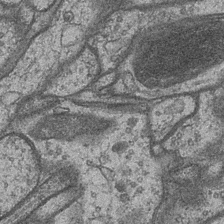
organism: Drosophila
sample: Optic medulla